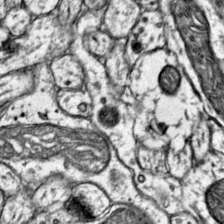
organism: Mouse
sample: Primary visual cortex